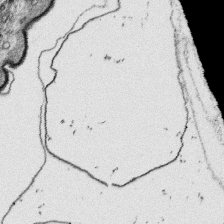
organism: Platynereis dumerilii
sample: Parapodia